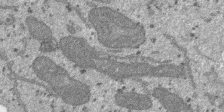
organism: Human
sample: Lung epithelial cells infected with SARS-CoV-2